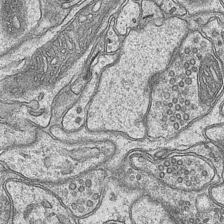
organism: Mouse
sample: CA1 Hippocampus